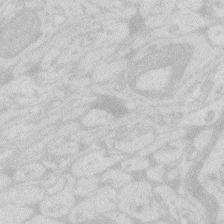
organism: Zebrafish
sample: Macrophage